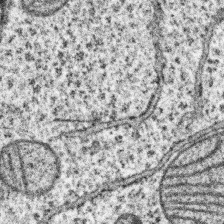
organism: Human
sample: HeLa cells